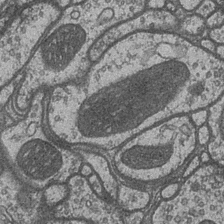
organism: Drosophila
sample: Optic medulla